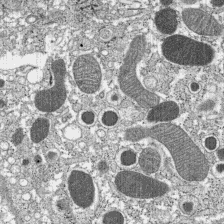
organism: C57BL Mouse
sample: Pancreatic islet